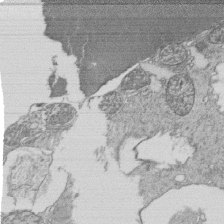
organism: Tetrahymena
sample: Cilia in tetrahymena